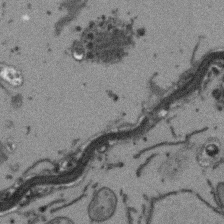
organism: Arabidopsis thaliana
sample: Root tip